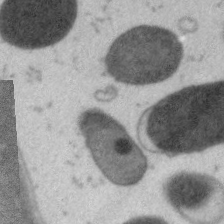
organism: C. elegans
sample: Pharynx